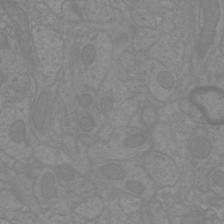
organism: Mouse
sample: Cortical neurons